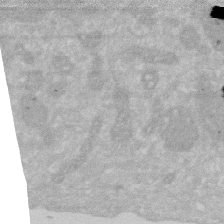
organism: Human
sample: HIV infected U937 cells